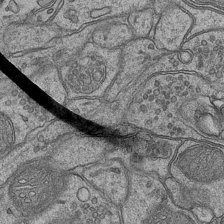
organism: Mouse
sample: CA1 Hippocampus